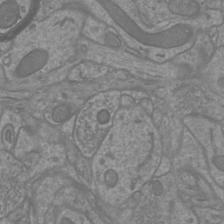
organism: Mouse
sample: Cortical neurons